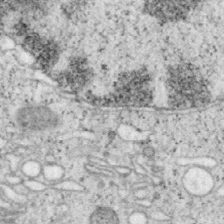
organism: Mouse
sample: OT-I killer T cells with ID8 ovarian cancer cells